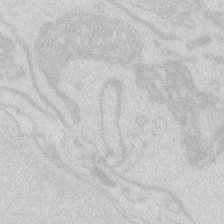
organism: Zebrafish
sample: Macrophage